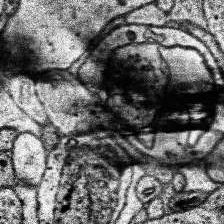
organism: Human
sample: Temporal Lobe